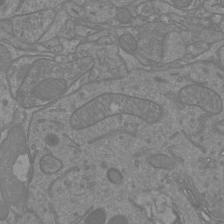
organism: Mouse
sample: Cortical neurons